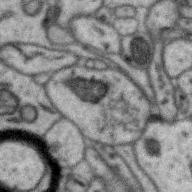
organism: Zebra finch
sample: Brain